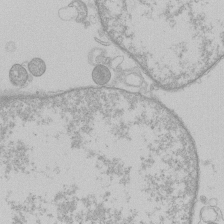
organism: Human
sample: Macrophage cells